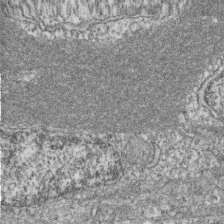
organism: Zebrafish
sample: Cilia; retinal pigment epithelium